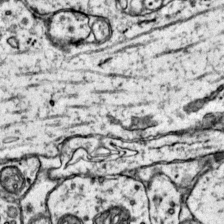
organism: Mouse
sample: Primary visual cortex